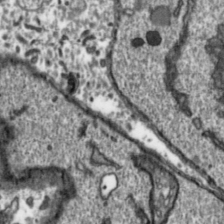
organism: Toxoplasma gondii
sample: Parasites in a vacuole inside a host cell